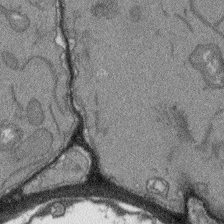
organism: Arabidopsis thaliana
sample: Root tip